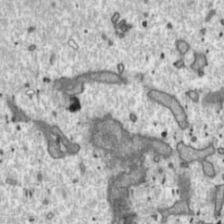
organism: Toxoplasma gondii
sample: Parasites in a vacuole inside a host cell